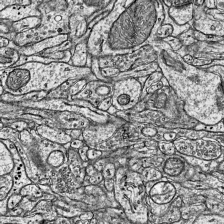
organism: Mouse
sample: Visual Cortex